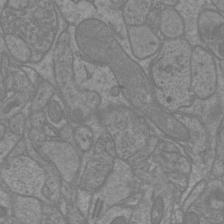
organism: Mouse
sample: Cortical neurons